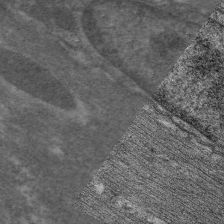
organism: C. elegans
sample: Pharynx